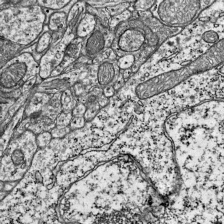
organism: Mouse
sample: Visual Cortex